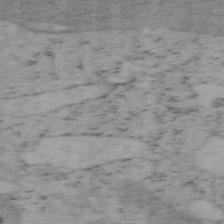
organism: Mouse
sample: OT-I killer T cells with ID8 ovarian cancer cells